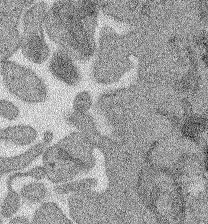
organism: Human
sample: HeLa cells